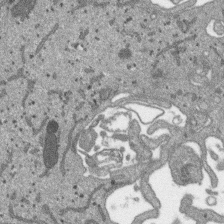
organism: Human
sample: Lung epithelial cells infected with SARS-CoV-2